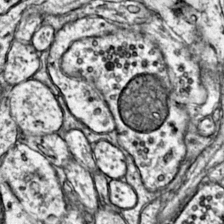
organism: Mouse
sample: Primary visual cortex